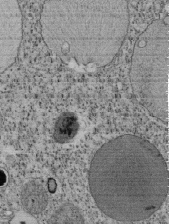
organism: Tetrahymena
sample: Cilia in tetrahymena